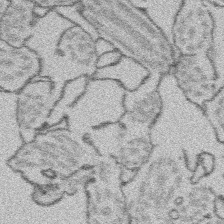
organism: Platynereis dumerilii